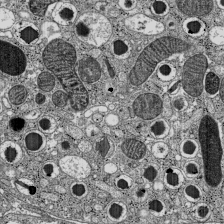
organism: C57BL Mouse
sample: Pancreatic islet